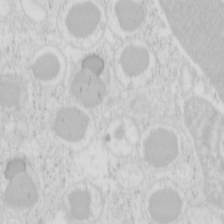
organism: Mouse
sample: Pancreas